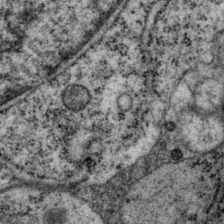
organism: P. pacificus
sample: Pharynx